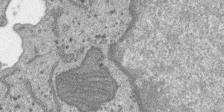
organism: Human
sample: Lung epithelial cells infected with SARS-CoV-2